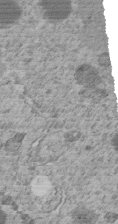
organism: C. elegans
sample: C. elegans embryo early stage